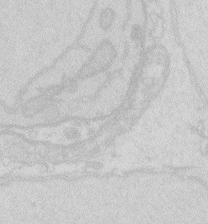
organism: Zebrafish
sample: Macrophage